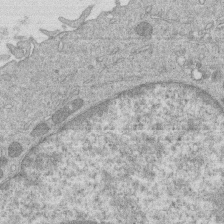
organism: Human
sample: Macrophage cells